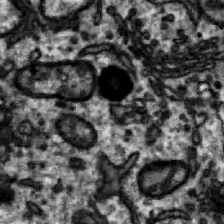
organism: Human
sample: HeLa cells